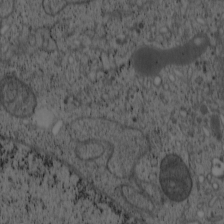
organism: African green monkey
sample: COS-7 cells